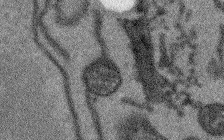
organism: Arabidopsis thaliana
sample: Root tip